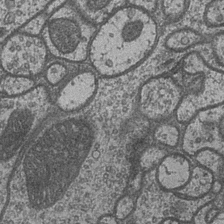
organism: Drosophila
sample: Optic medulla